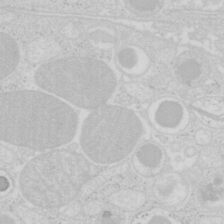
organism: Mouse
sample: Pancreas